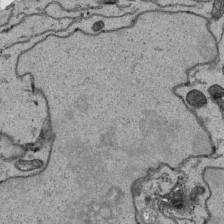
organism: Human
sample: Mitochondria in HCT116 cells